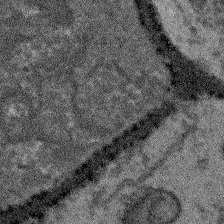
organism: Arabidopsis thaliana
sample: Root tip